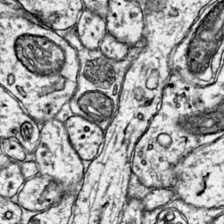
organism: Mouse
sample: Primary visual cortex